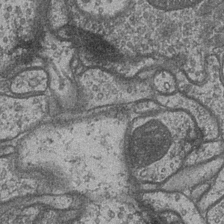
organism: Drosophila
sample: Optic medulla